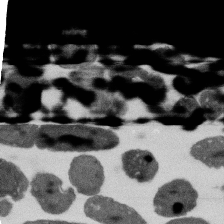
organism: E. coli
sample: Bacterial nucleoid